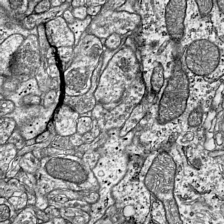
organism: Mouse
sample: Visual Cortex